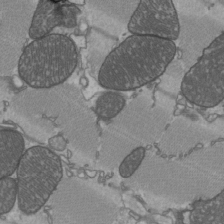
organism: C57BL Mouse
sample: Heart